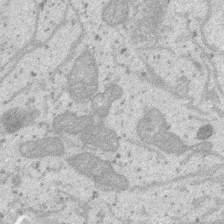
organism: Human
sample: Lung epithelial cells infected with SARS-CoV-2